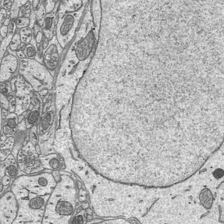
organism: Mouse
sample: Suprachiasmatic nucleus